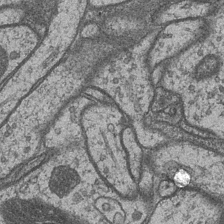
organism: Drosophila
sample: Optic medulla